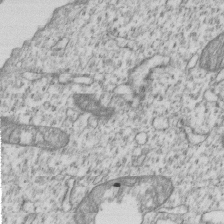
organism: Human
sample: MDA-MB-231 cells